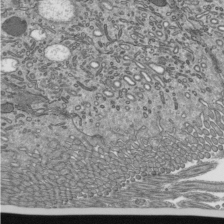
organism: Mouse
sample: Mouse epididymis efferent ductule cilia